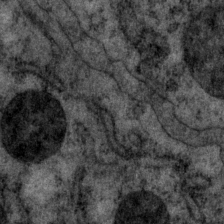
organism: P. pacificus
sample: Pharynx